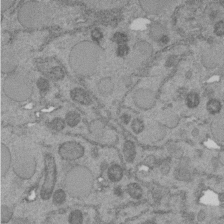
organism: C. elegans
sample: C. elegans embryo early stage